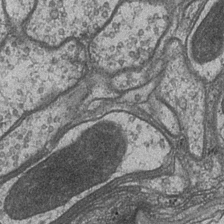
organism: Drosophila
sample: Optic medulla